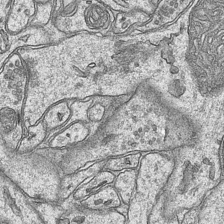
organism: Mouse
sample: CA1 Hippocampus